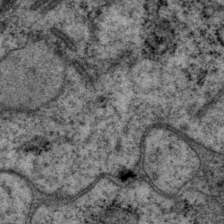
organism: P. pacificus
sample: Pharynx